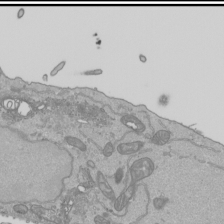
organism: Human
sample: Mitochondria in HCT116 cells